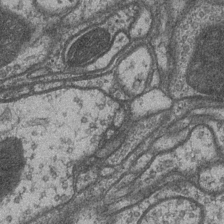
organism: Drosophila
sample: Optic medulla